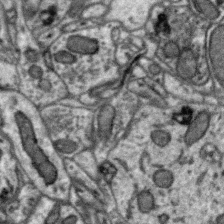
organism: Zebra finch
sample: Brain